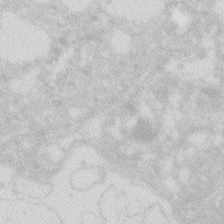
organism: Zebrafish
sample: Macrophage